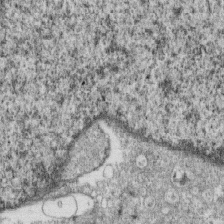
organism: African green monkey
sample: Vero E6 cells infected with SARS-CoV-2